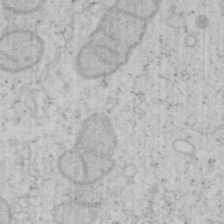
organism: Human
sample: HeLa cells